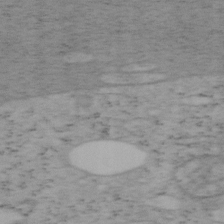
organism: Mouse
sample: OT-I killer T cells with ID8 ovarian cancer cells